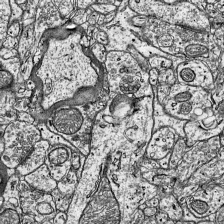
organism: Mouse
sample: Visual Cortex